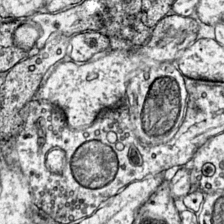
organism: Mouse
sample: Primary visual cortex